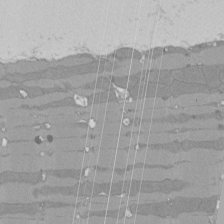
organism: Rat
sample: Left ventricle